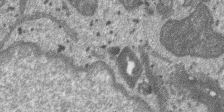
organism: Human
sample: Lung epithelial cells infected with SARS-CoV-2